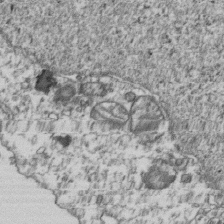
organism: Human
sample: Activated Jurkat CD4+ T cells